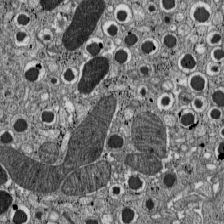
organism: C57BL Mouse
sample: Pancreatic islet